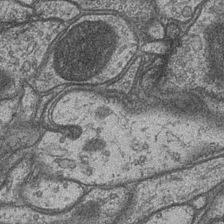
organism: Drosophila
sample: Optic medulla